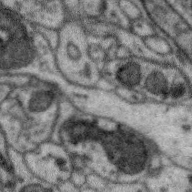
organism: Zebra finch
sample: Brain